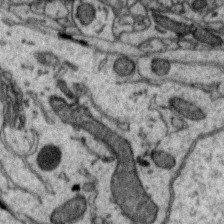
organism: Zebra finch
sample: Brain